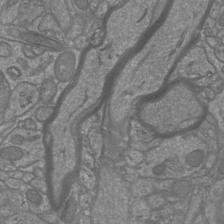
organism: Mouse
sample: Cortical neurons